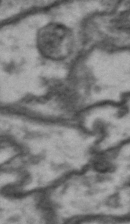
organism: Drosophila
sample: Brain